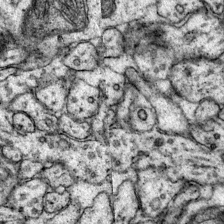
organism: Mouse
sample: Primary visual cortex